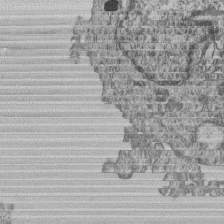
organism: Human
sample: MDA-MB-231 cells